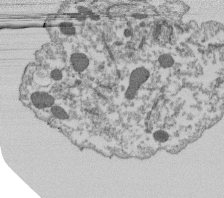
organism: Dictyostelium discoideum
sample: Dictyostelium multivesicular bodies